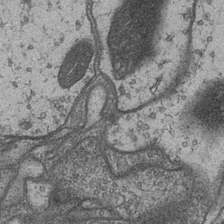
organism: Drosophila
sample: Optic medulla